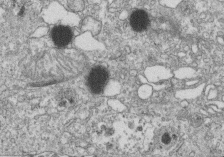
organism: Human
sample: HeLa cell HIV synapse